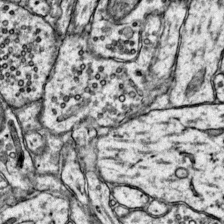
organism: Mouse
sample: Primary visual cortex